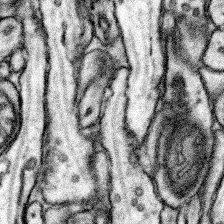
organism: Mouse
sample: Somatosensory cortex neuropil